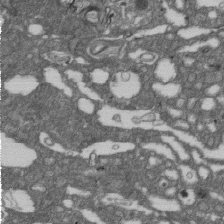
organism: Drosophila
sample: Nephrocyte